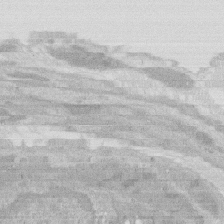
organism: Rat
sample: Salivary granule